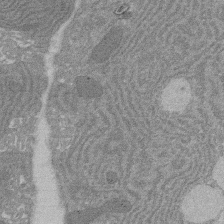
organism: Rat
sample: Salivary granule